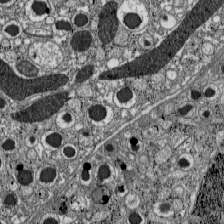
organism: C57BL Mouse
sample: Pancreatic islet